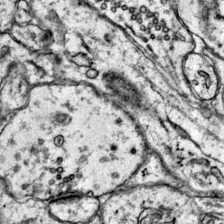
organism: Mouse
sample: Primary visual cortex